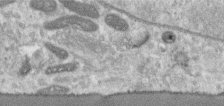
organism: Human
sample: Centriole in RPE cells